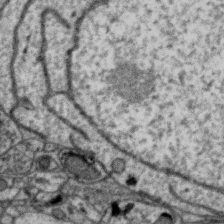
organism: Zebra finch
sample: Brain